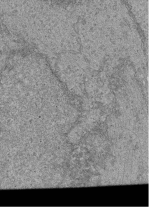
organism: Human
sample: Retinal organoid Rod and Cone cells